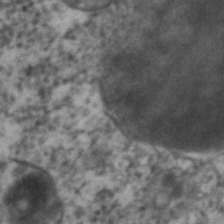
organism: C. elegans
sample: C. elegans embryo